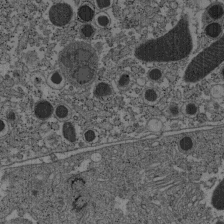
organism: C57BL Mouse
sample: Pancreatic islet